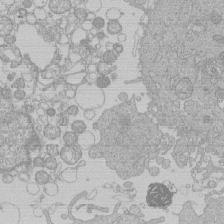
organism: Human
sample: Macrophage cells